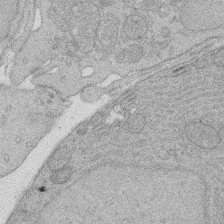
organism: Rat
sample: Salivary granule